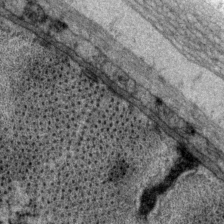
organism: P. pacificus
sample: Pharynx